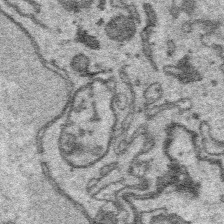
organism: Platynereis dumerilii